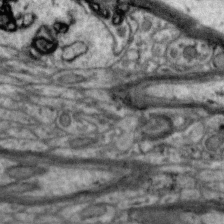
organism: Zebra finch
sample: Brain